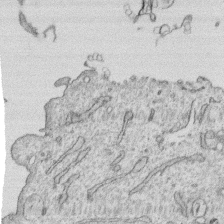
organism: Human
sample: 1205lu cells